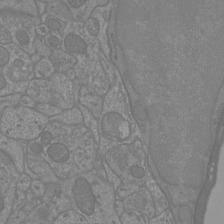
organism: Mouse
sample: Cortical neurons